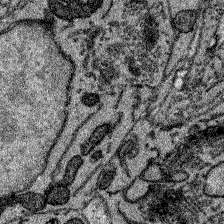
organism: Zebrafish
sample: Larval olfactory bulb